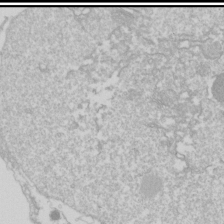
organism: Drosophila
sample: Cell division; meiosis; drosophila spermatocytes